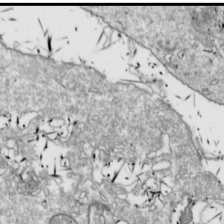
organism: Drosophila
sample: Cell division; meiosis; drosophila spermatocytes